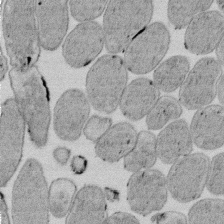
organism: E. coli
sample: Bacterial nucleoid